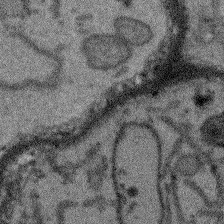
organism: Arabidopsis thaliana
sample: Root tip